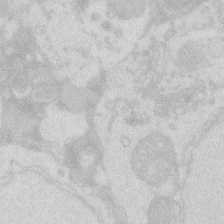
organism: Zebrafish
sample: Macrophage